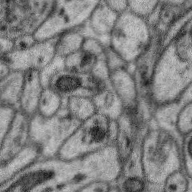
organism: Zebra finch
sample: Brain